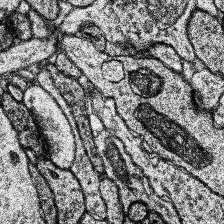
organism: Human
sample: Temporal Lobe